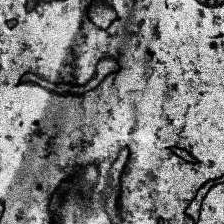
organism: Human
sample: Temporal Lobe